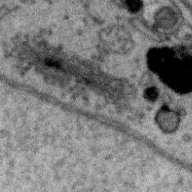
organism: Zebra finch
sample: Brain